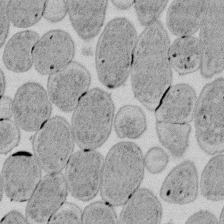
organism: E. coli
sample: Bacterial nucleoid